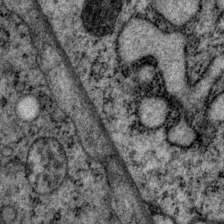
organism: P. pacificus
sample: Pharynx